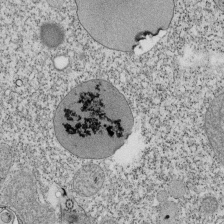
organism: Tetrahymena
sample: Cilia in tetrahymena